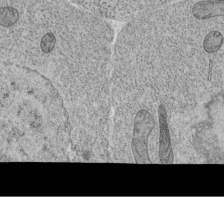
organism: C. elegans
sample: C. elegans oocyte; sperm cells